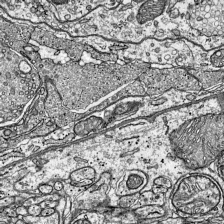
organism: Mouse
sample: Visual Cortex